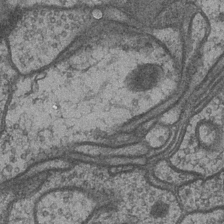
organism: Drosophila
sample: Optic medulla